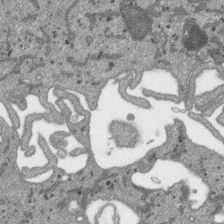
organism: Human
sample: Lung epithelial cells infected with SARS-CoV-2